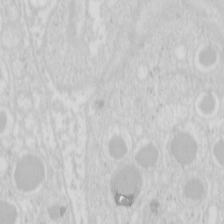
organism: Mouse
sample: Pancreas